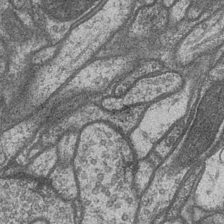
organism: Drosophila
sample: Optic medulla